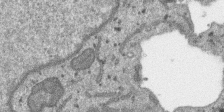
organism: Human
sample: Lung epithelial cells infected with SARS-CoV-2